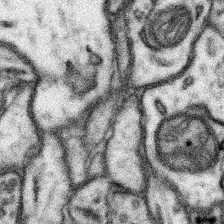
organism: Mouse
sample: Somatosensory cortex neuropil